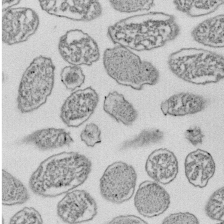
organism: E. coli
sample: Bacterial nucleoid